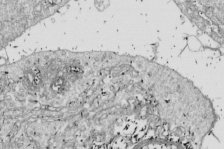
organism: Drosophila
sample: Cell division; meiosis; drosophila spermatocytes